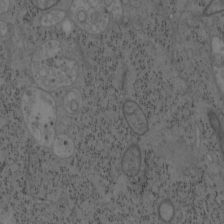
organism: Mouse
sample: OT-I killer T cells with ID8 ovarian cancer cells